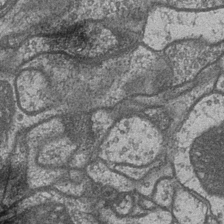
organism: Drosophila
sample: Optic medulla